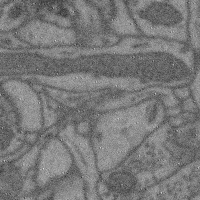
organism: Mouse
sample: Cerebral cortex